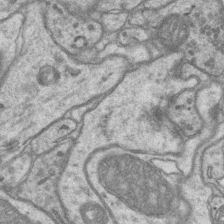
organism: Mouse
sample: CA1 Hippocampus